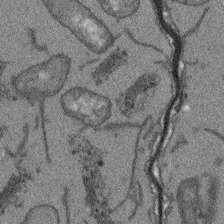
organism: Arabidopsis thaliana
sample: Root tip